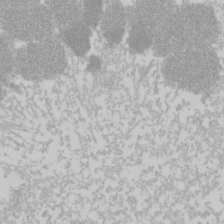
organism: Mouse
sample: Cancer cell death in ED-1 cells